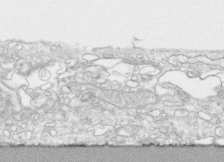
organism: Human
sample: CRL-1474